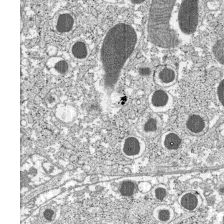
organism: C57BL Mouse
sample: Pancreatic islet